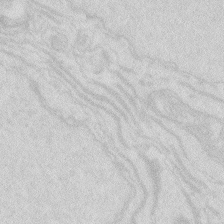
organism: Zebrafish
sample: Macrophage